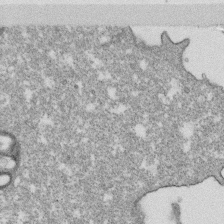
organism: African green monkey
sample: Vero E6 cells infected with SARS-CoV-2